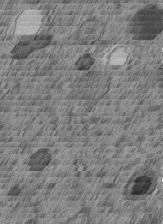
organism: C. elegans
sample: C. elegans embryo early stage